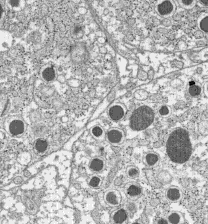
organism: C57BL Mouse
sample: Pancreatic islet